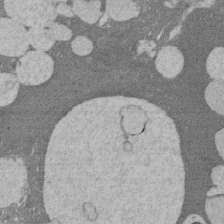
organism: Rat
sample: Salivary granule